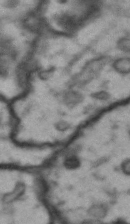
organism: Drosophila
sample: Brain